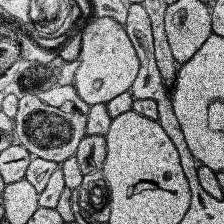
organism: Human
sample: Temporal Lobe